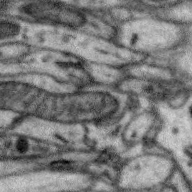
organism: Zebra finch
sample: Brain